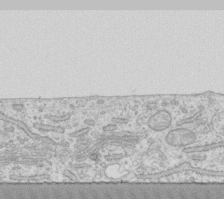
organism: Human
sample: Fibroblast cells